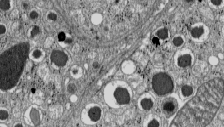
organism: C57BL Mouse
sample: Pancreatic islet